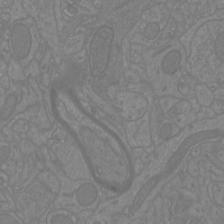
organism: Mouse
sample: Cortical neurons